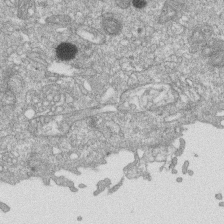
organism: Human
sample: HeLa cell HIV synapse